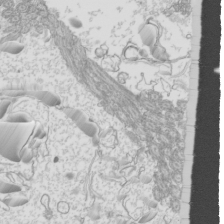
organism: Mouse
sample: Cilia; mouse epididymis